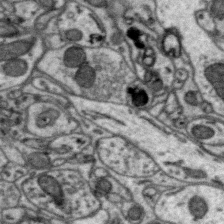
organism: Zebra finch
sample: Brain